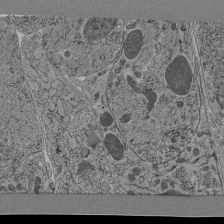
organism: C. elegans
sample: C. elegans pharynx